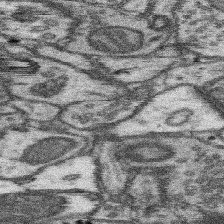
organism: Mouse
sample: Somatosensory cortex neuropil